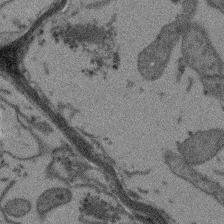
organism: Arabidopsis thaliana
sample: Root tip